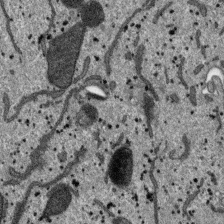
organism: Human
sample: Lung epithelial cells, uninfected (mock) control